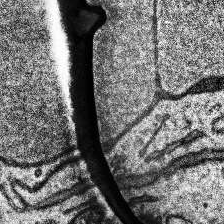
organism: Human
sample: Temporal Lobe